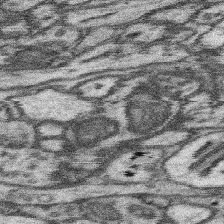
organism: Mouse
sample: Somatosensory cortex neuropil